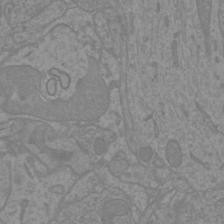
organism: Mouse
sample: Cortical neurons